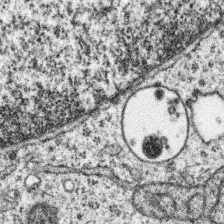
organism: Human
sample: HeLa cells